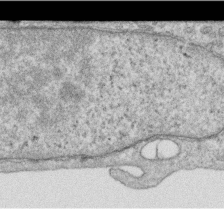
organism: Human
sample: Centriole in RPE cells